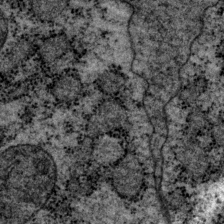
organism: P. pacificus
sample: Pharynx